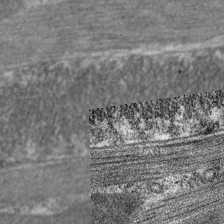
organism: C. elegans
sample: Pharynx